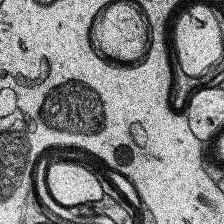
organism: Human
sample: Temporal Lobe